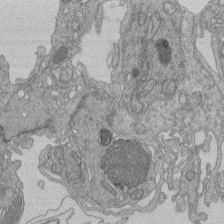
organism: Human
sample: Retinal organoid Rod and Cone cells